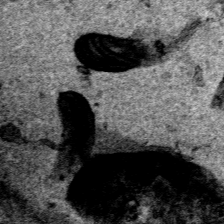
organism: Human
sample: Mitochondria in HCT116 cells